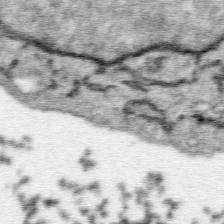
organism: Human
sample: HeLa cells